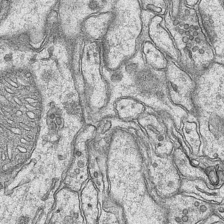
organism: Mouse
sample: CA1 Hippocampus